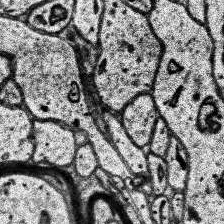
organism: Human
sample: Temporal Lobe